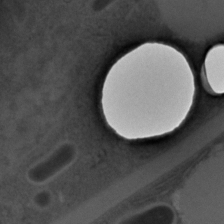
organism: C. elegans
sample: C. elegans embryo